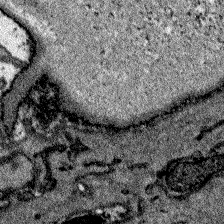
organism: Zebrafish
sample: Larval olfactory bulb